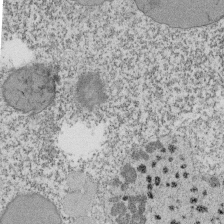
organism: Tetrahymena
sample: Cilia in tetrahymena